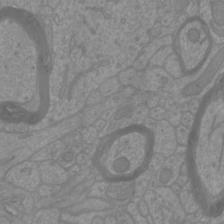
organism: Mouse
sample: Cortical neurons